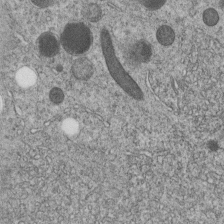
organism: C. elegans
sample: C. elegans embryo early stage